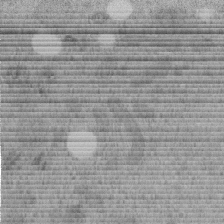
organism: C. elegans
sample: C. elegans embryo early stage